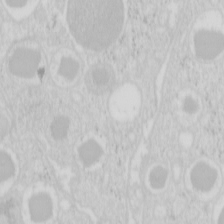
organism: Mouse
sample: Pancreas